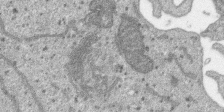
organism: Human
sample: Lung epithelial cells infected with SARS-CoV-2